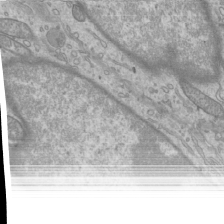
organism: Mouse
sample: Cilia; mouse epididymis